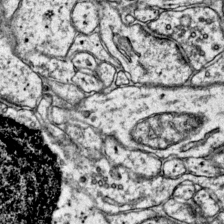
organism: Mouse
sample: Primary visual cortex